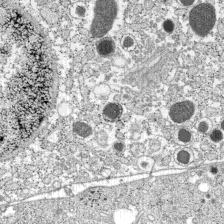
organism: C57BL Mouse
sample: Pancreatic islet